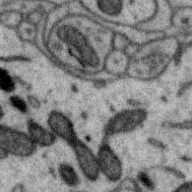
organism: Zebra finch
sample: Brain